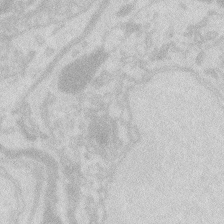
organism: Zebrafish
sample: Macrophage